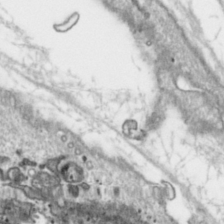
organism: Toxoplasma gondii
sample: Parasites in a vacuole inside a host cell